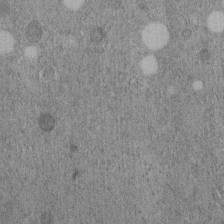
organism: C. elegans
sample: C. elegans embryo early stage